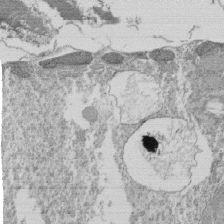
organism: Tetrahymena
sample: Cilia in tetrahymena